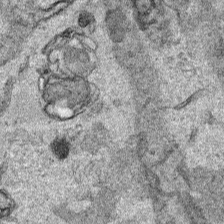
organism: Human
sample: Mitochondria in HCT116 cells